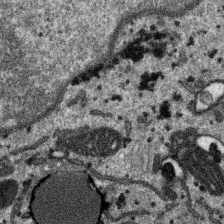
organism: Human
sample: Lung epithelial cells infected with SARS-CoV-2